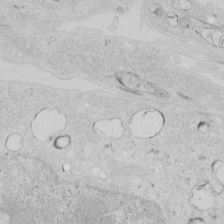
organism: Human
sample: Mitochondria in HCT116 cells